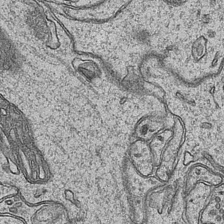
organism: Mouse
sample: CA1 Hippocampus